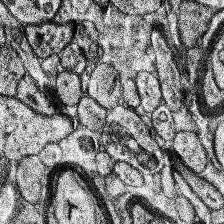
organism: Human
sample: Temporal Lobe